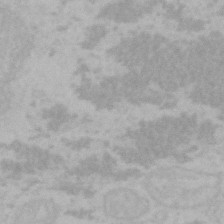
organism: Mouse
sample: Choroid plexus